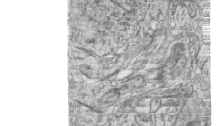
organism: Zebrafish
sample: synaptic ribbons in rod cells and cone cells